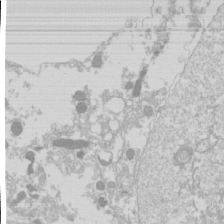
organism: Drosophila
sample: Cell division; meiosis; drosophila spermatocytes